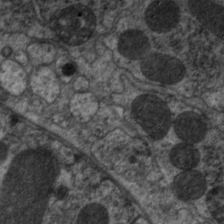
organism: C. elegans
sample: Pharynx